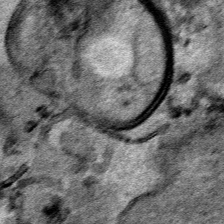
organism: Human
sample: Mitochondria in HCT116 cells